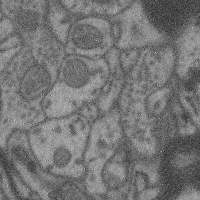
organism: Mouse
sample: Cerebral cortex